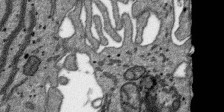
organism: Human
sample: Lung epithelial cells, uninfected (mock) control